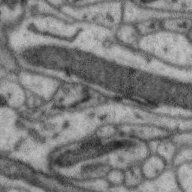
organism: Zebra finch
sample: Brain